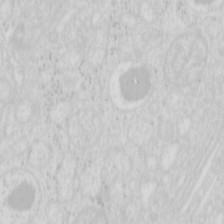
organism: Mouse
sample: Pancreas